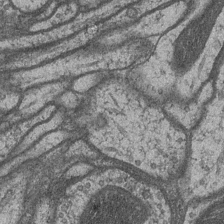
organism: Drosophila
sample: Optic medulla